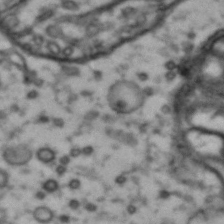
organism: Drosophila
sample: Brain